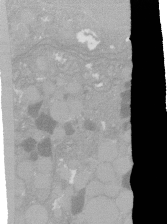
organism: C. elegans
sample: C. elegans oocyte; sperm cells